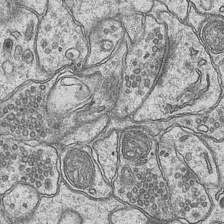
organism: Mouse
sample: CA1 Hippocampus